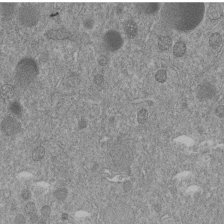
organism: C. elegans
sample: C. elegans embryo early stage